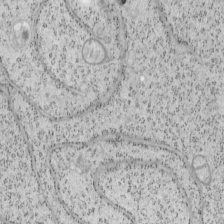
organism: Mouse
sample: OT-I killer T cells with ID8 ovarian cancer cells